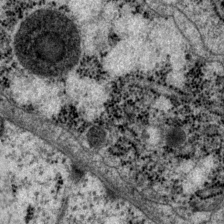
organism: P. pacificus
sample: Pharynx